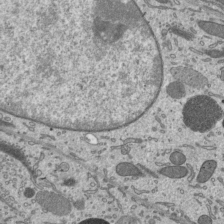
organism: Mouse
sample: Mouse epididymis efferent ductule cilia